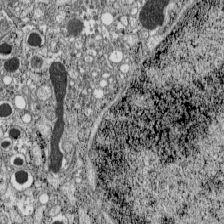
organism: C57BL Mouse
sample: Pancreatic islet